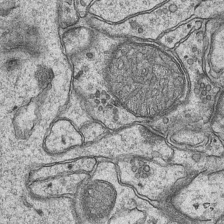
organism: Mouse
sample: CA1 Hippocampus